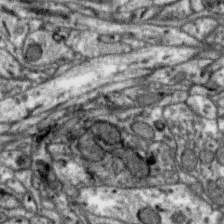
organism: Zebra finch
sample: Brain